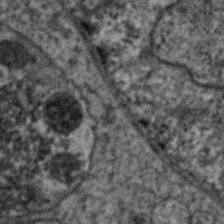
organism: C. elegans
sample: Pharynx